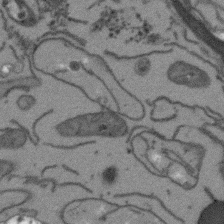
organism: Arabidopsis thaliana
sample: Root tip